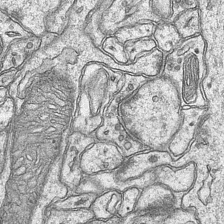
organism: Mouse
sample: CA1 Hippocampus